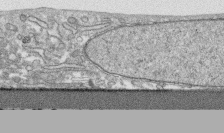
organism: Human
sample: CRL-1474